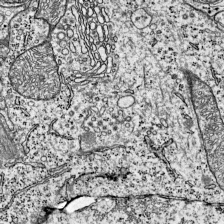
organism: Mouse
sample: Visual Cortex